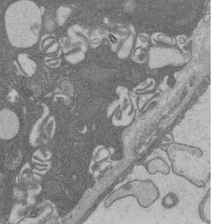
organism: Rat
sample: Salivary granule